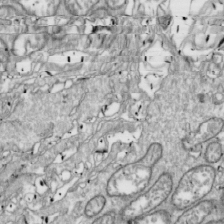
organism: Drosophila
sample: Cell division; meiosis; drosophila spermatocytes